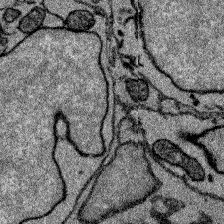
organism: Zebrafish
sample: Larval olfactory bulb